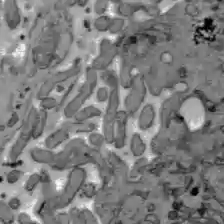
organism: C57BL Mouse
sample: Liver